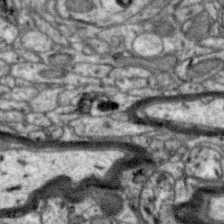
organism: Zebra finch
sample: Brain